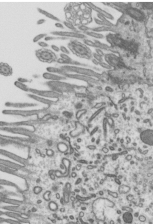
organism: Mouse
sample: Mouse epididymis efferent ductule cilia